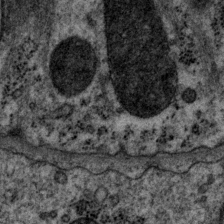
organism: P. pacificus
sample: Pharynx